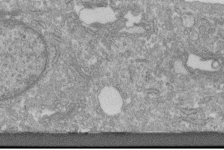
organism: Human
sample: Centriole in fibroblast cells